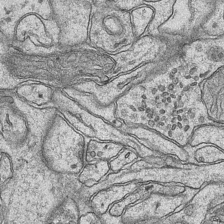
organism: Mouse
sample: CA1 Hippocampus